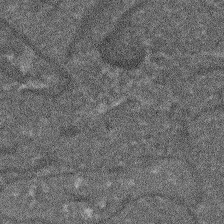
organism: Arabidopsis thaliana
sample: Root tip